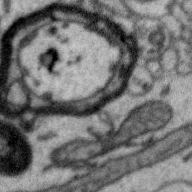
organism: Zebra finch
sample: Brain